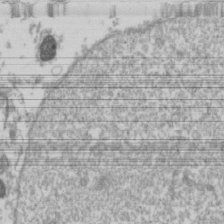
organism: Drosophila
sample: Cell division; meiosis; drosophila spermatocytes